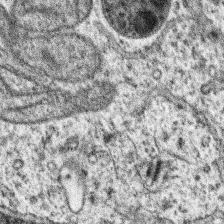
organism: Human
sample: HeLa cells